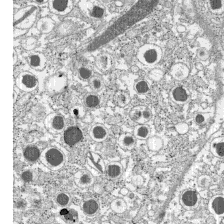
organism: C57BL Mouse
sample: Pancreatic islet